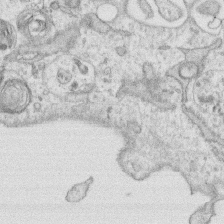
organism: Human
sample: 1205lu cells